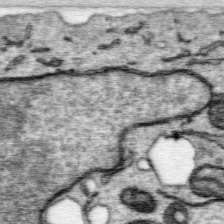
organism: Human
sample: HeLa cells